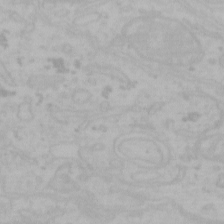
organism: Mouse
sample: Choroid plexus